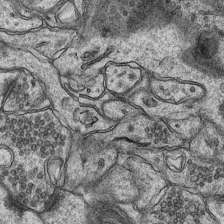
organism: Mouse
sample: CA1 Hippocampus